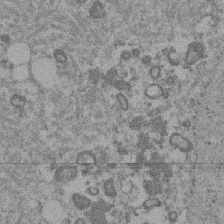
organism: Mouse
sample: Dividing mouse embryo 1 cell stage